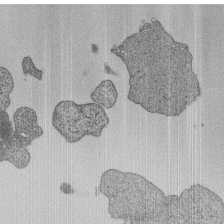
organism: Human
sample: MDA-MB-231 cells